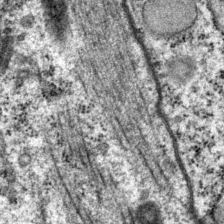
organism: P. pacificus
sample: Pharynx